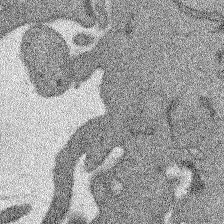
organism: Human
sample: HeLa cells